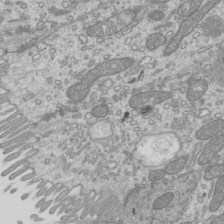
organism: Mouse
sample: Cilia; mouse epididymis